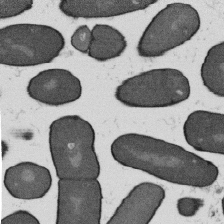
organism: B. subtilis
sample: Bacterial spore